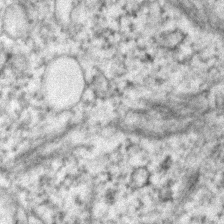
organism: Human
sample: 1205lu cells